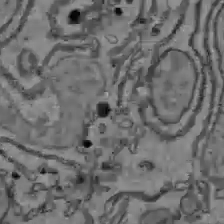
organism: C57BL Mouse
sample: Liver